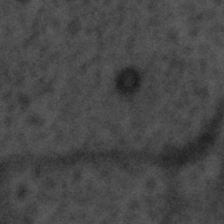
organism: Tuwongella immobilis